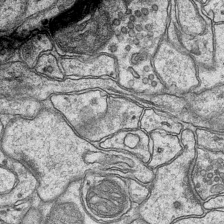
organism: Mouse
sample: CA1 Hippocampus